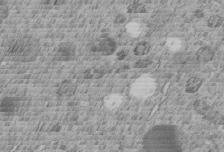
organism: C. elegans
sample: C. elegans embryo early stage